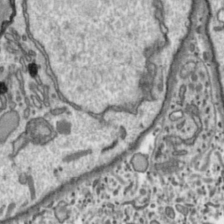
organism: Toxoplasma gondii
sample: Parasites in a vacuole inside a host cell